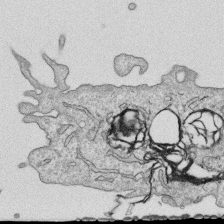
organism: Human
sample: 1205lu cells